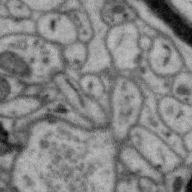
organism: Zebra finch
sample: Brain